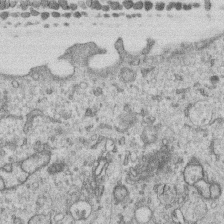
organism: Human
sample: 1205lu cells